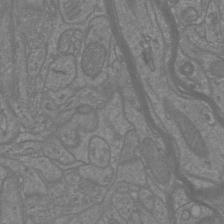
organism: Mouse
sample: Cortical neurons